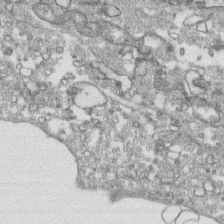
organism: Human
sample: CRL-1474